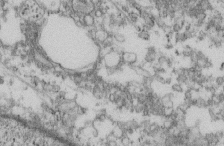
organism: Mouse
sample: Cilia; retinal pigment epithelium